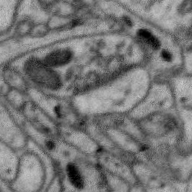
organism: Zebra finch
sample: Brain